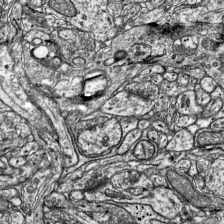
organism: Mouse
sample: Visual Cortex